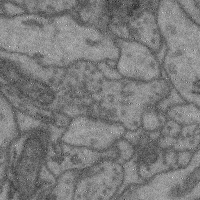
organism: Mouse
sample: Cerebral cortex